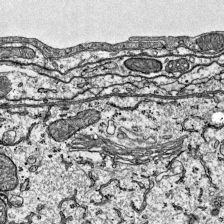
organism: Mouse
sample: Visual Cortex